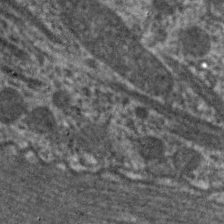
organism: C. elegans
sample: Pharynx